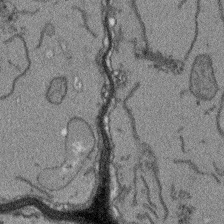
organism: Arabidopsis thaliana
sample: Root tip